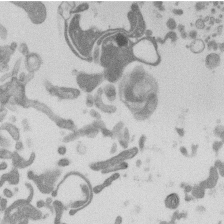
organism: Mouse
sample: Dividing mouse embryo 1 cell stage